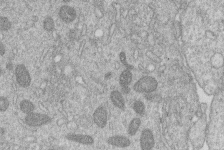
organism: Human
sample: Macrophage cells